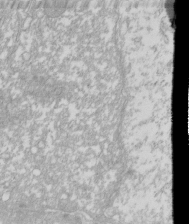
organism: Xenopus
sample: Cilia; centrioles in frog embryo cells